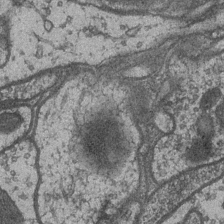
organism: Drosophila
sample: Optic medulla